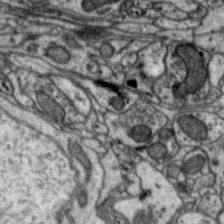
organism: Zebra finch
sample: Brain